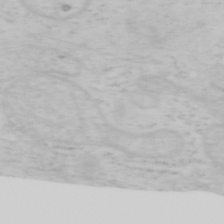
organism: Mouse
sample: OT-I killer T cells with ID8 ovarian cancer cells